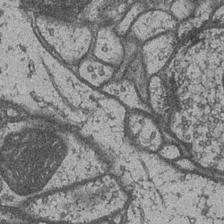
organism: Drosophila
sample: Optic medulla